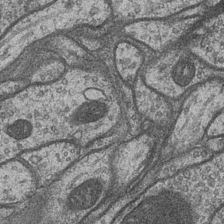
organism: Drosophila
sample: Optic medulla